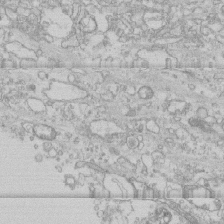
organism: Human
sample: CRL-1474